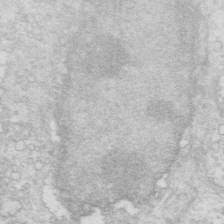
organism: Mouse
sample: Multiciliated cells